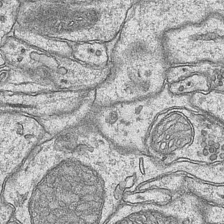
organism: Mouse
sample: CA1 Hippocampus